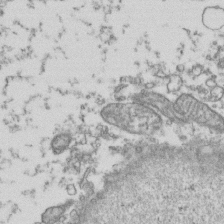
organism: Human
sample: Activated Jurkat CD4+ T cells